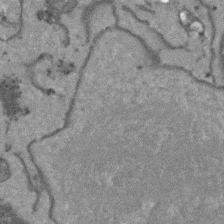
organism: Arabidopsis thaliana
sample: Root tip